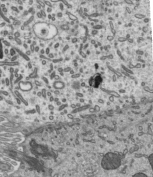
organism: Mouse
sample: Mouse epididymis efferent ductule cilia